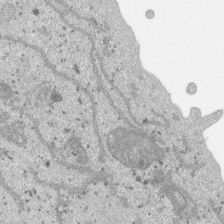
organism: Human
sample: Lung epithelial cells infected with SARS-CoV-2